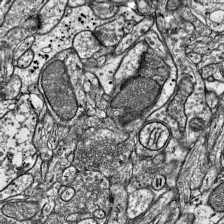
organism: Mouse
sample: Visual Cortex